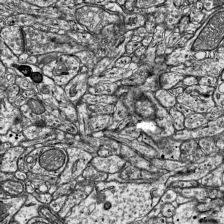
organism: Mouse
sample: Visual Cortex